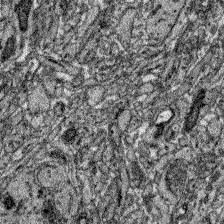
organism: Zebrafish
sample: Larval olfactory bulb